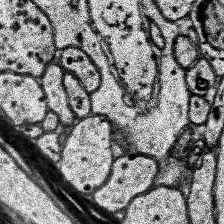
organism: Human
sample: Temporal Lobe